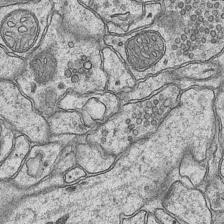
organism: Mouse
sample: CA1 Hippocampus